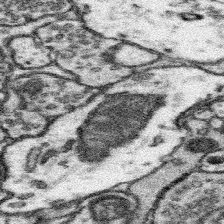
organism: Mouse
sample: Somatosensory cortex neuropil